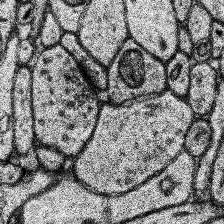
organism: Human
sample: Temporal Lobe